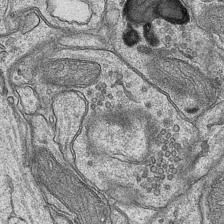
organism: Mouse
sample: CA1 Hippocampus